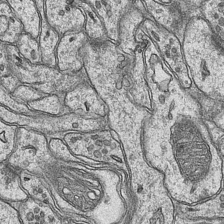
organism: Mouse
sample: CA1 Hippocampus